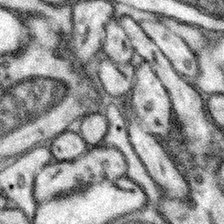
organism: Mouse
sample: Somatosensory cortex neuropil